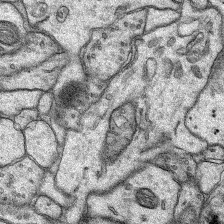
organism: Rat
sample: Hippocampus